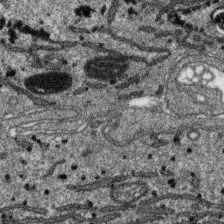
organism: Human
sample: Lung epithelial cells infected with SARS-CoV-2